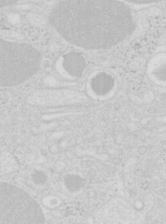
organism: Mouse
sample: Pancreas